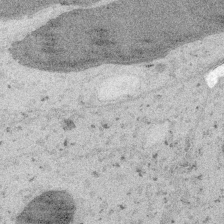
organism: Embia sp.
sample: Silk gland